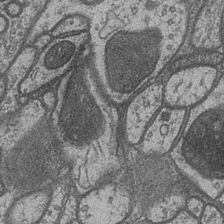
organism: Drosophila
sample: Optic medulla